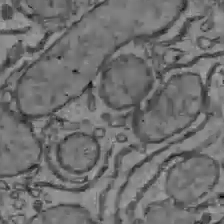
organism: C57BL Mouse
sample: Liver